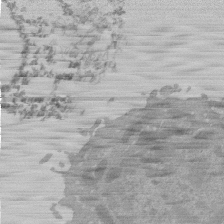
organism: Mouse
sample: Activated Pmel transgenic CD8+ T Cells